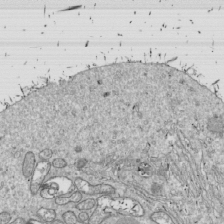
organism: Drosophila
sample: Cell division; meiosis; drosophila spermatocytes